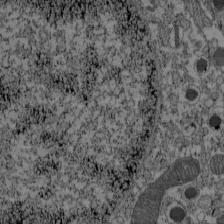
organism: C57BL Mouse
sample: Pancreatic islet